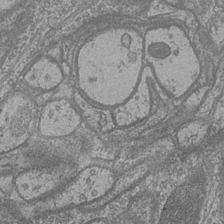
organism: Drosophila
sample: Optic medulla